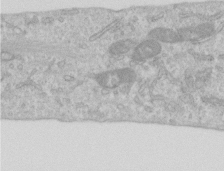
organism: Human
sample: Centriole in RPE cells